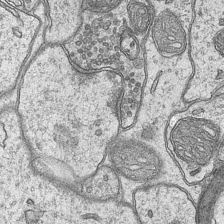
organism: Mouse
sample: CA1 Hippocampus